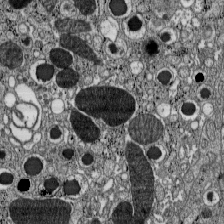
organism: C57BL Mouse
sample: Pancreatic islet